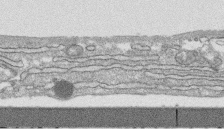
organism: Human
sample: CRL-1474